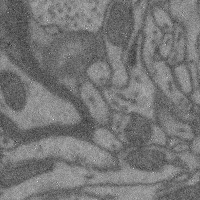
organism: Mouse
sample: Cerebral cortex